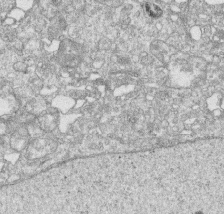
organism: Human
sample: HeLa cell HIV synapse